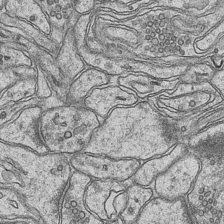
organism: Mouse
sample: CA1 Hippocampus